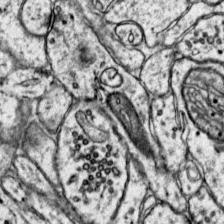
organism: Mouse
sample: Primary visual cortex